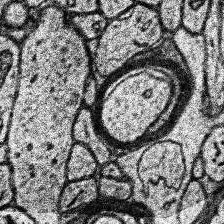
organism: Human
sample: Temporal Lobe